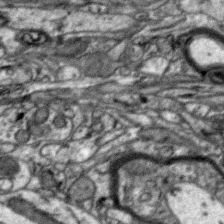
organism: Zebra finch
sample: Brain